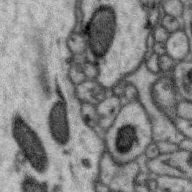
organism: Zebra finch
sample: Brain